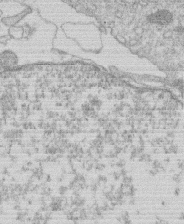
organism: Human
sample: Macrophage cells